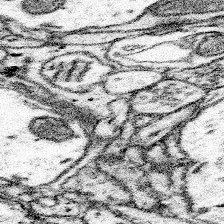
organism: Mouse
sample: Somatosensory cortex neuropil